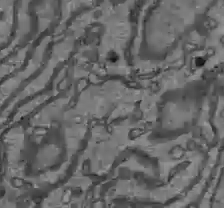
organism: C57BL Mouse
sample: Liver